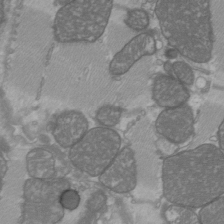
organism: C57BL Mouse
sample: Heart